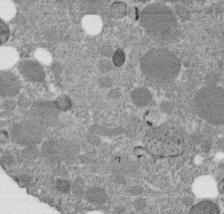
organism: C. elegans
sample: C. elegans embryo early stage